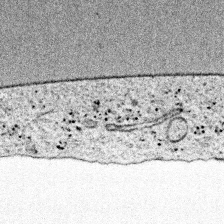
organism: Human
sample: HeLa cells